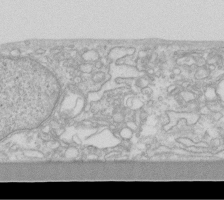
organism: Human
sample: Fibroblast cells